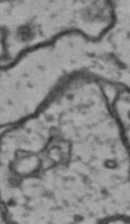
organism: Drosophila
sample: Brain